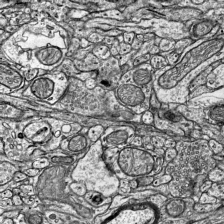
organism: Mouse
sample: Visual Cortex